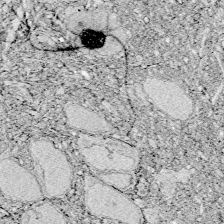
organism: Zebrafish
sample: Whole-Brain